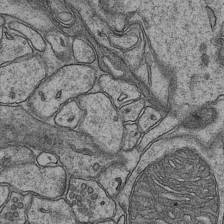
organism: Mouse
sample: CA1 Hippocampus